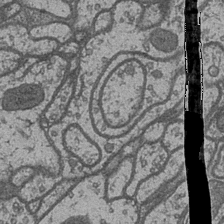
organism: Drosophila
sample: Optic medulla